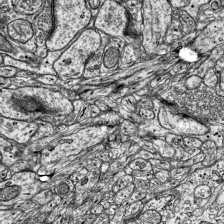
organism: Mouse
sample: Visual Cortex